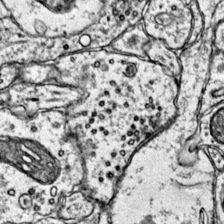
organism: Mouse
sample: Primary visual cortex